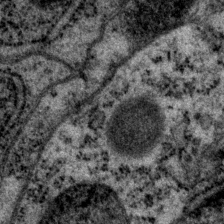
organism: P. pacificus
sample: Pharynx